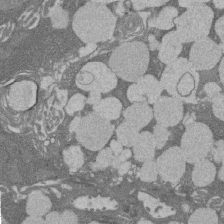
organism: Rat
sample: Salivary granule